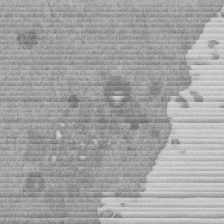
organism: Mouse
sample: Dividing mouse embryo 1 cell stage